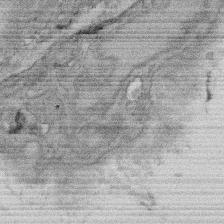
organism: Rat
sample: Salivary granule